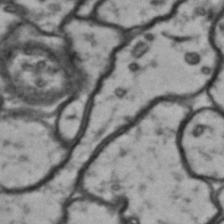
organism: Drosophila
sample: Brain